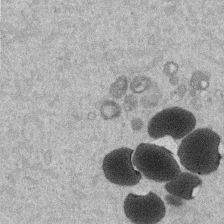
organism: Mouse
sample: Dividing mouse embryo 1 cell stage